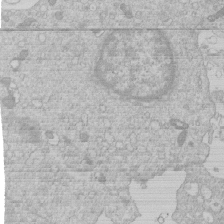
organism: Human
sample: Macrophage cells